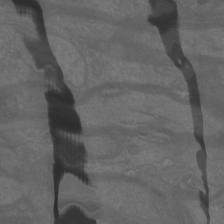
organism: Mouse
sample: Cortical neurons